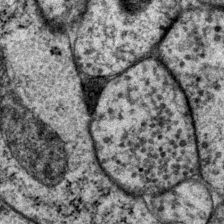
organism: P. pacificus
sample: Pharynx